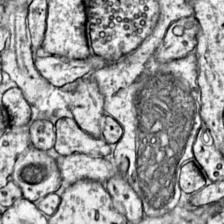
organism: Mouse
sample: Primary visual cortex